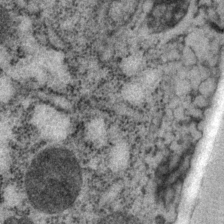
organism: P. pacificus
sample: Pharynx